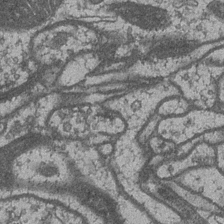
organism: Drosophila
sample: Optic medulla